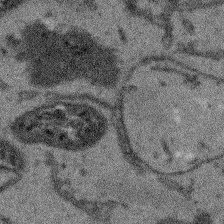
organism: Arabidopsis thaliana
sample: Root tip